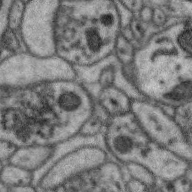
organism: Zebra finch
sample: Brain